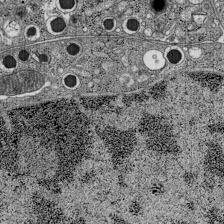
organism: C57BL Mouse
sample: Pancreatic islet